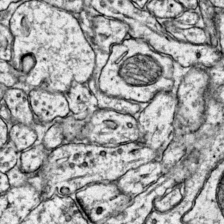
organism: Mouse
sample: Primary visual cortex